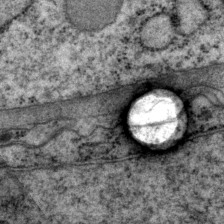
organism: P. pacificus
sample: Pharynx